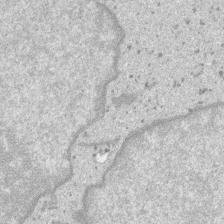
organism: Human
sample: Lung epithelial cells infected with SARS-CoV-2